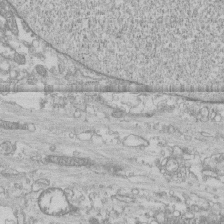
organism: Human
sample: CRL-1474